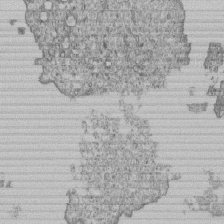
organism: Human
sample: MDA-MB-231 cells